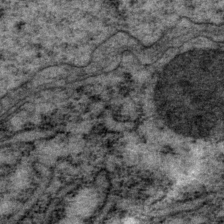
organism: P. pacificus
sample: Pharynx